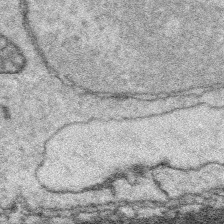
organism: Platynereis dumerilii